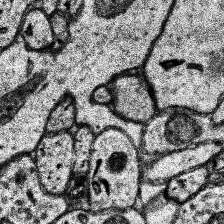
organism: Human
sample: Temporal Lobe